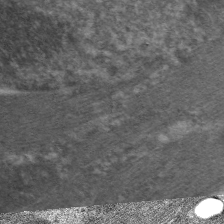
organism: C. elegans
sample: Pharynx